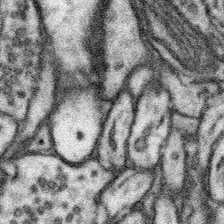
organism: Mouse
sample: Somatosensory cortex neuropil